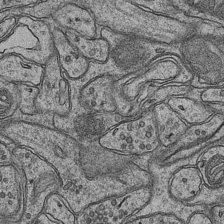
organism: Mouse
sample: CA1 Hippocampus